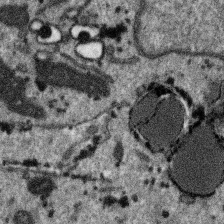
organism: Human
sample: Lung epithelial cells infected with SARS-CoV-2